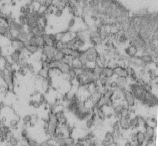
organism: Mouse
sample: Cilia; retinal pigment epithelium